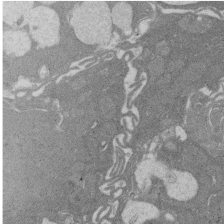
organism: Rat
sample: Salivary granule